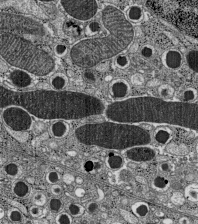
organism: C57BL Mouse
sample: Pancreatic islet